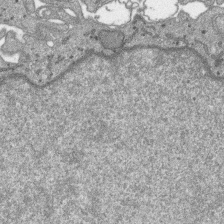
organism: Human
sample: Lung epithelial cells infected with SARS-CoV-2